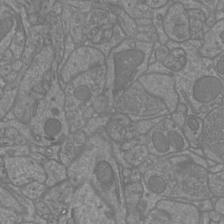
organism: Mouse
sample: Cortical neurons